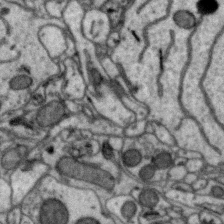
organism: Zebra finch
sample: Brain